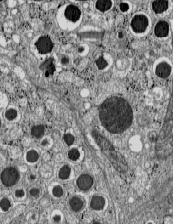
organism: C57BL Mouse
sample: Pancreatic islet